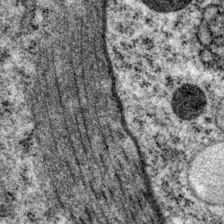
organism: P. pacificus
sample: Pharynx